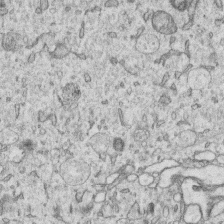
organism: Human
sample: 1205lu cells